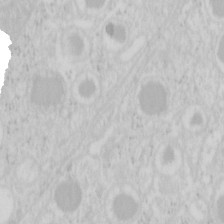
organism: Mouse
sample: Pancreas